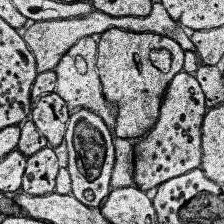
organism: Human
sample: Temporal Lobe